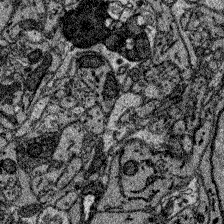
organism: Zebrafish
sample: Larval olfactory bulb